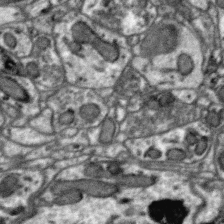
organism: Zebra finch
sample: Brain